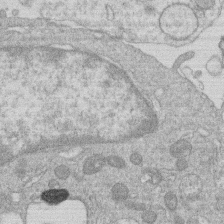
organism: Human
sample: Macrophage cells